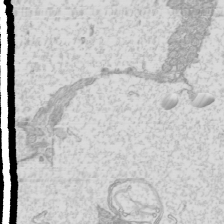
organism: Mouse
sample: Cilia; mouse epididymis